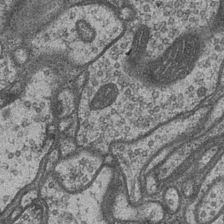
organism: Drosophila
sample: Optic medulla